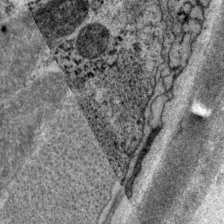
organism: P. pacificus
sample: Pharynx